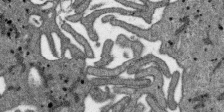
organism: Human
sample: Lung epithelial cells, uninfected (mock) control